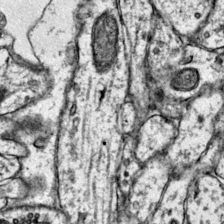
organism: Mouse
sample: Primary visual cortex